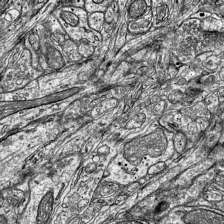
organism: Mouse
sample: Visual Cortex